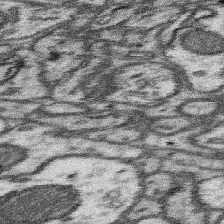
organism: Mouse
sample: Somatosensory cortex neuropil